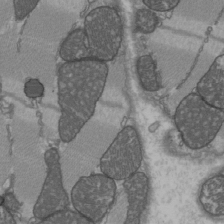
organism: C57BL Mouse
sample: Heart